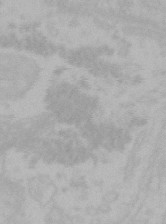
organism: Mouse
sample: Choroid plexus